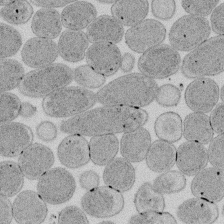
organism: E. coli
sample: Bacterial nucleoid